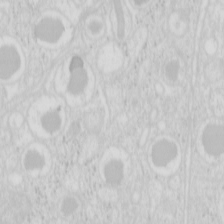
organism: Mouse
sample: Pancreas